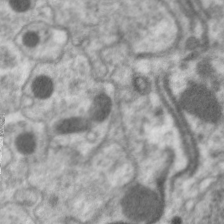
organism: C. elegans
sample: Pharynx